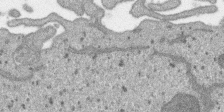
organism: Human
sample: Lung epithelial cells infected with SARS-CoV-2